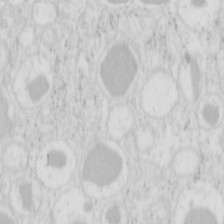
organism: Mouse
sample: Pancreas